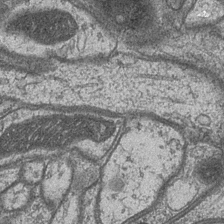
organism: Drosophila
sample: Optic medulla